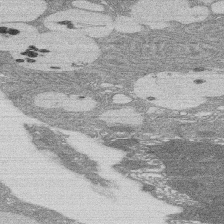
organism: Rat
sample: Salivary granule